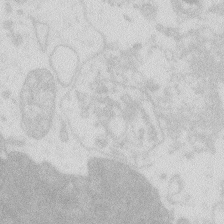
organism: Zebrafish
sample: Macrophage